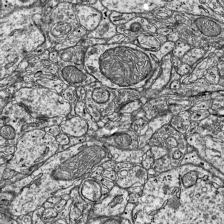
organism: Mouse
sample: Visual Cortex